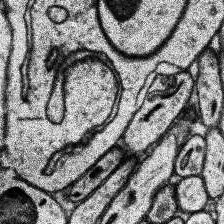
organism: Human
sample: Temporal Lobe